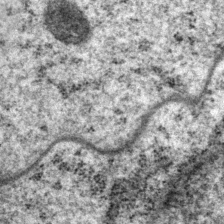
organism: P. pacificus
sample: Pharynx